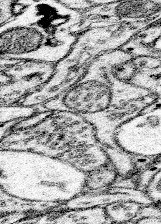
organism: Mouse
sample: Somatosensory cortex neuropil